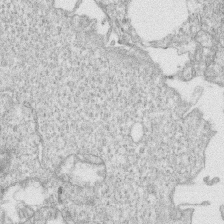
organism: Human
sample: HeLa cell HIV synapse